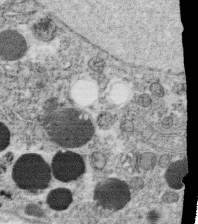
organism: C. elegans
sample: C. elegans oocyte; sperm cells